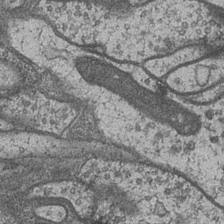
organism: Drosophila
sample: Optic medulla